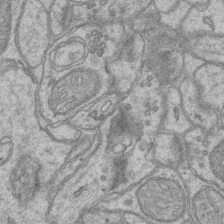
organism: Mouse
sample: CA1 Hippocampus